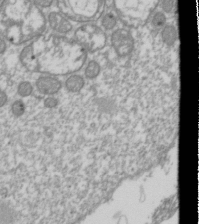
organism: Drosophila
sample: Cell division; meiosis; drosophila spermatocytes